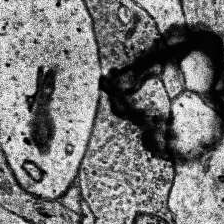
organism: Human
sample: Temporal Lobe